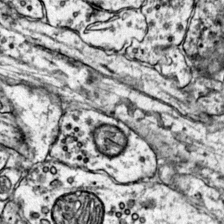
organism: Mouse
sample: Primary visual cortex